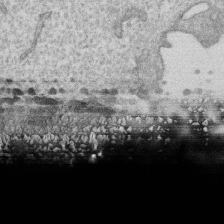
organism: Human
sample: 1205lu cells